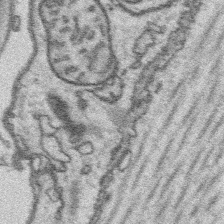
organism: Platynereis dumerilii